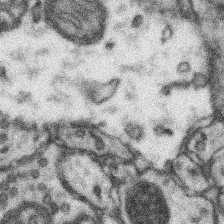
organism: Mouse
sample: Somatosensory cortex neuropil